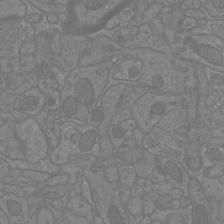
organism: Mouse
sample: Cortical neurons